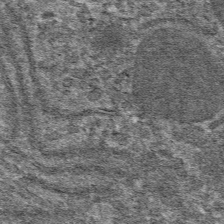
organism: Mouse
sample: Mouse hepatocytes